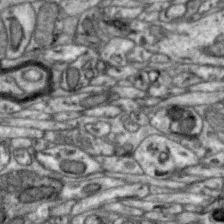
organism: Zebra finch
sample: Brain